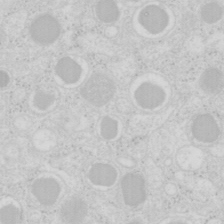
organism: Mouse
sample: Pancreas